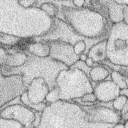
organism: Rabbit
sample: Retina